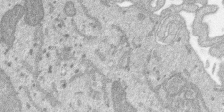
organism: Human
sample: Lung epithelial cells infected with SARS-CoV-2